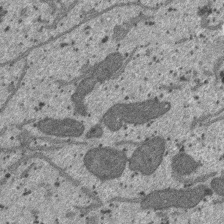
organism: Human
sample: Lung epithelial cells infected with SARS-CoV-2